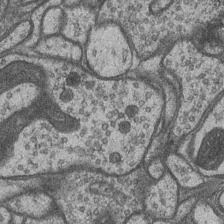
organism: Drosophila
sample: Optic medulla